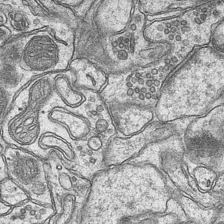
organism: Mouse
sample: CA1 Hippocampus